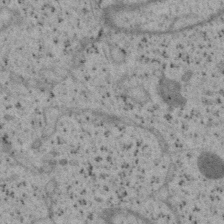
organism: Human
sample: HeLa cells